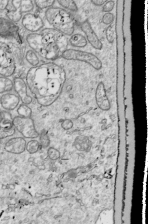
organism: Drosophila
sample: Cell division; meiosis; drosophila spermatocytes